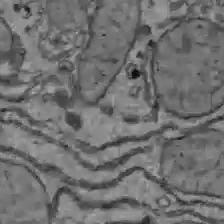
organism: C57BL Mouse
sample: Liver